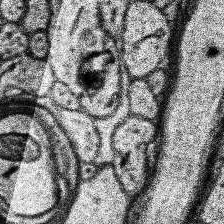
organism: Human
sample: Temporal Lobe